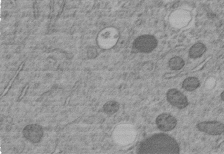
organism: C. elegans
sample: C. elegans embryo early stage